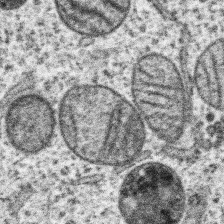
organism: Human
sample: HeLa cells